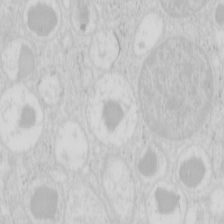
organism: Mouse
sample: Pancreas